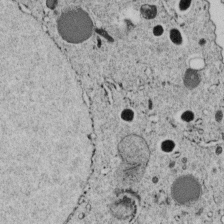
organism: C. elegans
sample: C. elegans embryo early stage